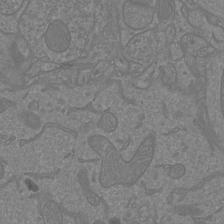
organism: Mouse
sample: Cortical neurons